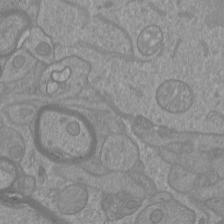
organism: Mouse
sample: Cortical neurons